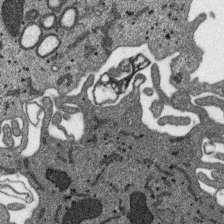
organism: Human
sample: Lung epithelial cells infected with SARS-CoV-2